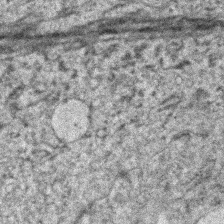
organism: Human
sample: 1205lu cells